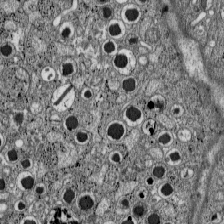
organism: C57BL Mouse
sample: Pancreatic islet